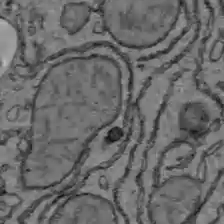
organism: C57BL Mouse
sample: Liver